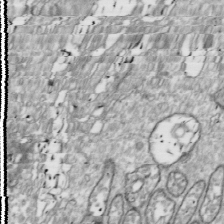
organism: Drosophila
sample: Cell division; meiosis; drosophila spermatocytes